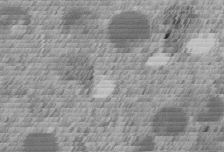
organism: C. elegans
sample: C. elegans embryo early stage